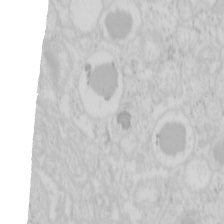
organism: Mouse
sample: Pancreas